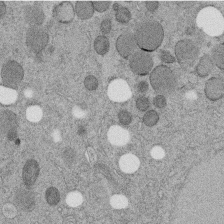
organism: C. elegans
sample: C. elegans embryo early stage